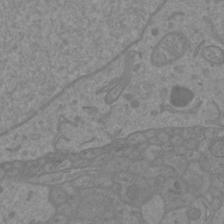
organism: Mouse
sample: Cortical neurons